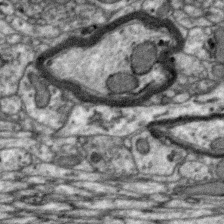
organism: Zebra finch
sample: Brain